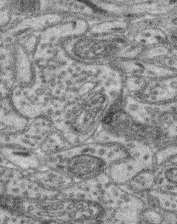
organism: Mouse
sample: Retina